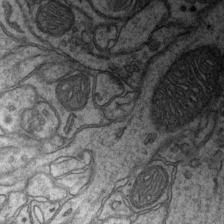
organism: Mouse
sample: CA1 Hippocampus